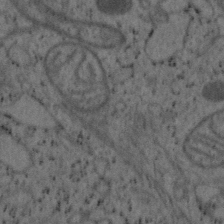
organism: Human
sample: HeLa cells